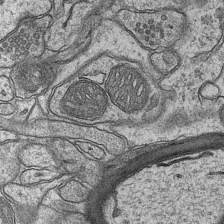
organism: Mouse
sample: CA1 Hippocampus